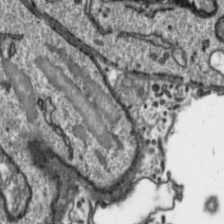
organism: Toxoplasma gondii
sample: Parasites in a vacuole inside a host cell